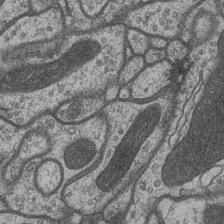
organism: Drosophila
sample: Optic medulla